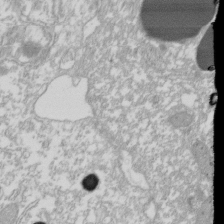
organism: Xenopus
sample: Cilia; centrioles in frog embryo cells